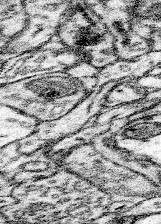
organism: Mouse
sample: Somatosensory cortex neuropil